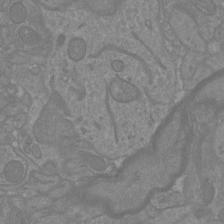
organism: Mouse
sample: Cortical neurons